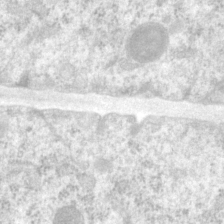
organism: P. pacificus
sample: Pharynx